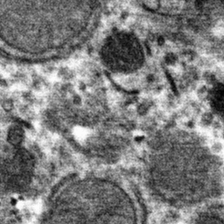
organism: Mouse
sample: Mouse hepatocytes